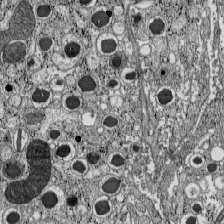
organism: C57BL Mouse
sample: Pancreatic islet